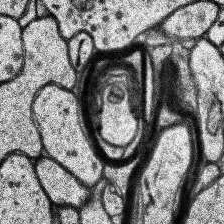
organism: Human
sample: Temporal Lobe